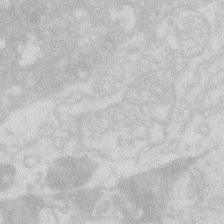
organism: Zebrafish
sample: Macrophage